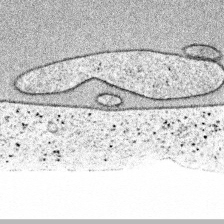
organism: Human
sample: HeLa cells